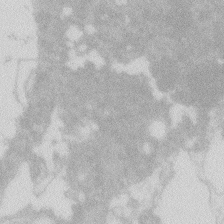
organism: Zebrafish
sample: Macrophage